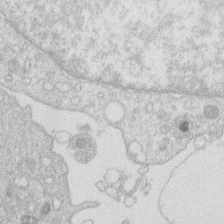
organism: Human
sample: Macrophage cells